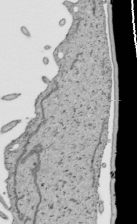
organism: Human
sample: Mitochondria in HCT116 cells